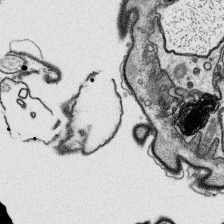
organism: Platynereis dumerilii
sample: Parapodia